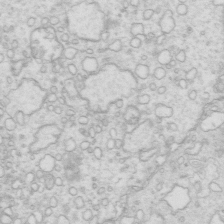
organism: Mouse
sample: Multiciliated cells